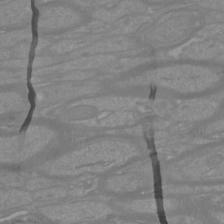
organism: Mouse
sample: Cortical neurons